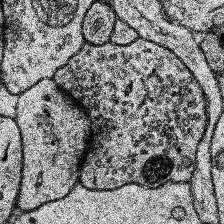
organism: Human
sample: Temporal Lobe